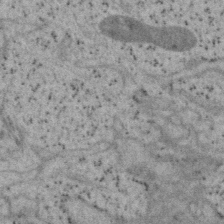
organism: Human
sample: HeLa cells